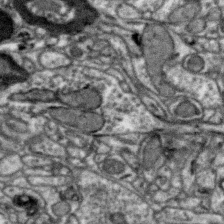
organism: Zebra finch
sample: Brain